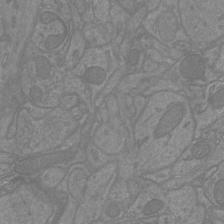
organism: Mouse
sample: Cortical neurons